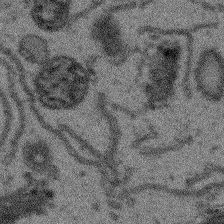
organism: Arabidopsis thaliana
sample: Root tip